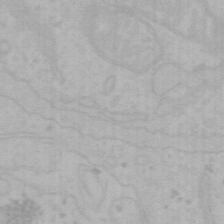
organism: Mouse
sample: Choroid plexus